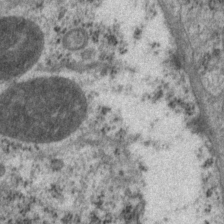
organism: P. pacificus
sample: Pharynx